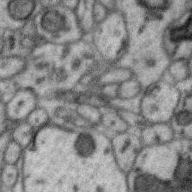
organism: Zebra finch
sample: Brain